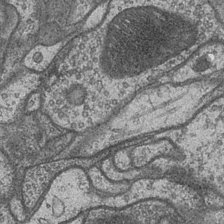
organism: Drosophila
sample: Optic medulla